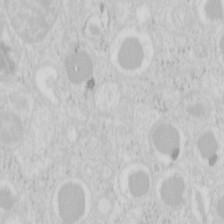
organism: Mouse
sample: Pancreas